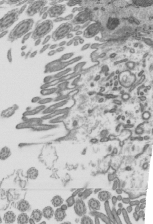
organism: Mouse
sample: Mouse epididymis efferent ductule cilia